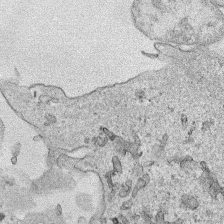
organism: Human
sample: Mitochondria in HCT116 cells